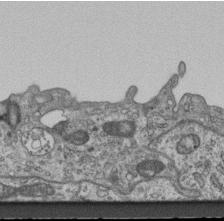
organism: Mouse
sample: Centriole in ependymal cells